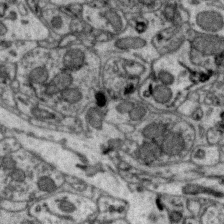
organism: Zebra finch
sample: Brain